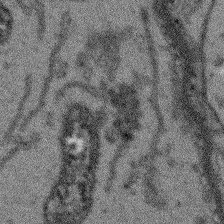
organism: Arabidopsis thaliana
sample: Root tip